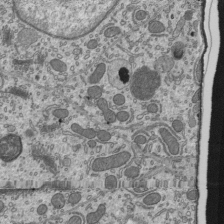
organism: Mouse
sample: Mouse epididymis efferent ductule cilia